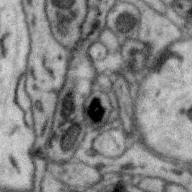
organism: Zebra finch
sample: Brain